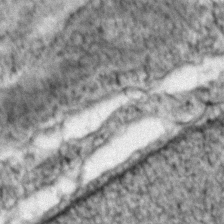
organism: Zebrafish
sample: Zebrafish embryo